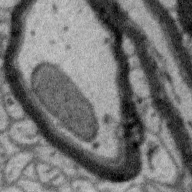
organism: Zebra finch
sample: Brain